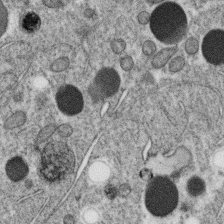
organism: C. elegans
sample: C. elegans oocyte; sperm cells